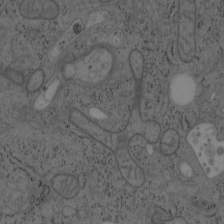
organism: Mouse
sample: OT-I killer T cells with ID8 ovarian cancer cells